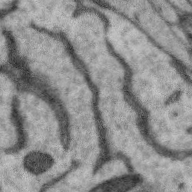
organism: Zebra finch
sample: Brain